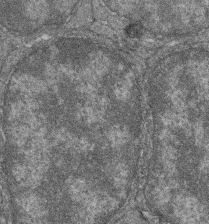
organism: Zebrafish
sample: Cilia; retinal pigment epithelium